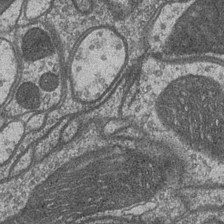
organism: Drosophila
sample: Optic medulla